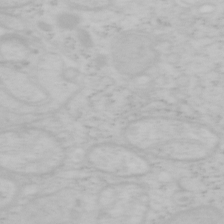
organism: Mouse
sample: OT-I killer T cells with ID8 ovarian cancer cells